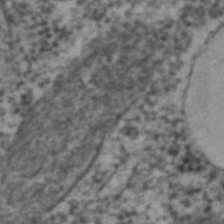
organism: C. elegans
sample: C. elegans embryo